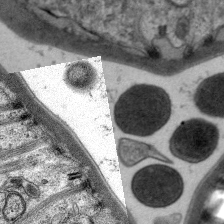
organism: C. elegans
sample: Pharynx